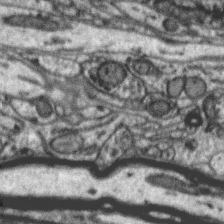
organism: Zebra finch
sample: Brain